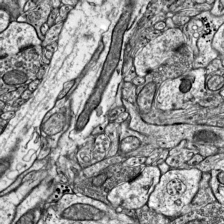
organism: Mouse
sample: Visual Cortex